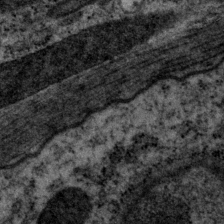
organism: P. pacificus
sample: Pharynx